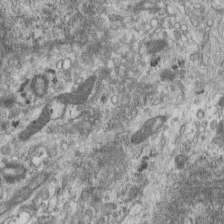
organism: Mouse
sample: Centriole in ependymal cells